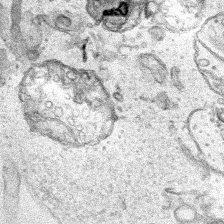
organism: Human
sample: Mitochondria in HCT116 cells